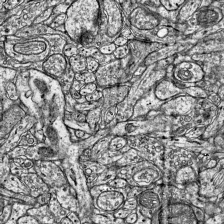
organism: Mouse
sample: Visual Cortex